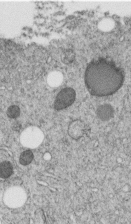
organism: C. elegans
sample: C. elegans embryo early stage